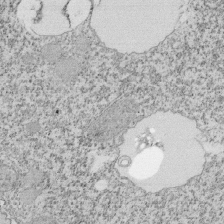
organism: Tetrahymena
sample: Cilia in tetrahymena